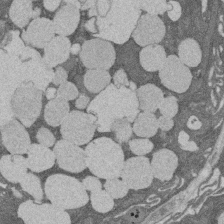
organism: Rat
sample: Salivary granule